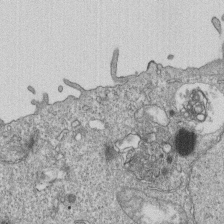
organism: Human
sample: HeLa cell HIV synapse